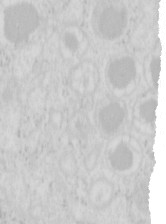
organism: Mouse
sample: Pancreas